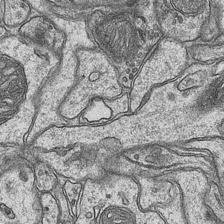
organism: Mouse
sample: CA1 Hippocampus